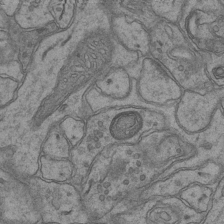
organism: Mouse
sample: CA1 Hippocampus